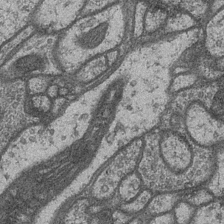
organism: Drosophila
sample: Optic medulla